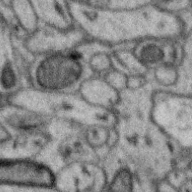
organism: Zebra finch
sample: Brain